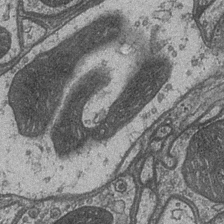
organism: Drosophila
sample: Optic medulla